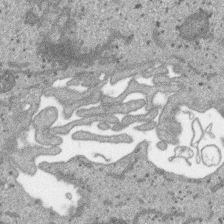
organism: Human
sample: Lung epithelial cells infected with SARS-CoV-2